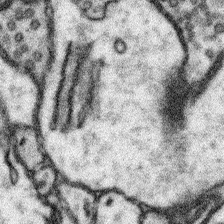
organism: Mouse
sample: Somatosensory cortex neuropil